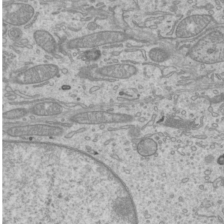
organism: Mouse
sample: Cilia; mouse epididymis